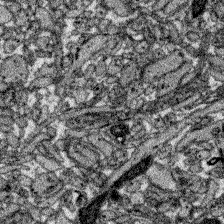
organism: Zebrafish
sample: Larval olfactory bulb